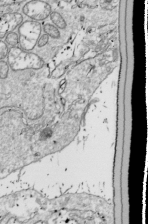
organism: Drosophila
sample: Cell division; meiosis; drosophila spermatocytes